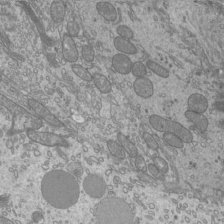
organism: Mouse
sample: Cilia; mouse epididymis